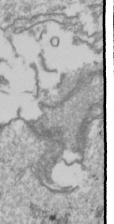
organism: Drosophila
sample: Cell division; meiosis; drosophila spermatocytes